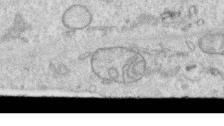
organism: Human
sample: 1205lu cells